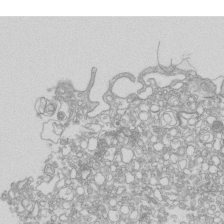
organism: Mouse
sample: Macrophages